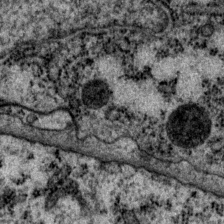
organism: P. pacificus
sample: Pharynx